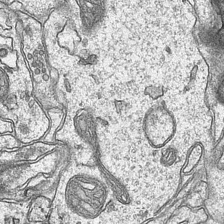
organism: Mouse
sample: CA1 Hippocampus